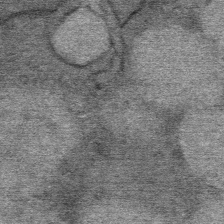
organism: Mouse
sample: Mouse Salivary gland